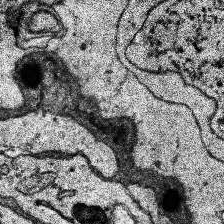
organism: Human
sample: Temporal Lobe